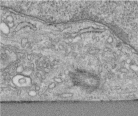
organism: Human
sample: Centriole in RPE cells